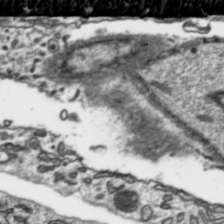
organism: Toxoplasma gondii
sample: Parasites in a vacuole inside a host cell